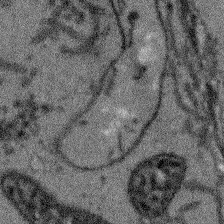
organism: Arabidopsis thaliana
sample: Root tip